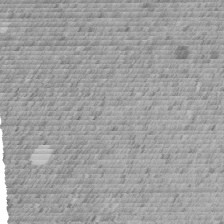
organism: C. elegans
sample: C. elegans embryo early stage